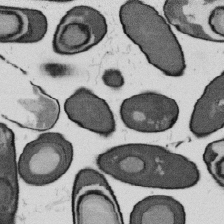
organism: B. subtilis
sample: Bacterial spore